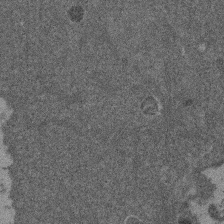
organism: Mouse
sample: Dividing mouse embryo 1 cell stage